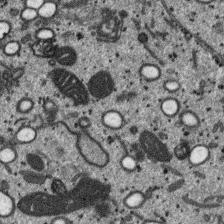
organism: Human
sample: Lung epithelial cells infected with SARS-CoV-2